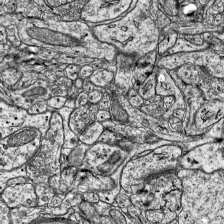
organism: Mouse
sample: Visual Cortex